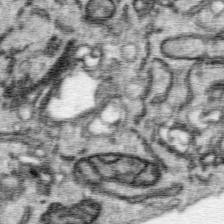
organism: Human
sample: HeLa cells